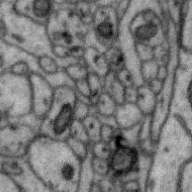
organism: Zebra finch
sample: Brain